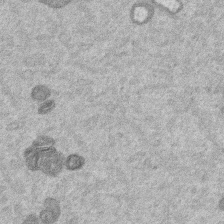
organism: Mouse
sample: Dividing mouse embryo 1 cell stage